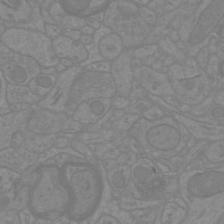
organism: Mouse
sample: Cortical neurons